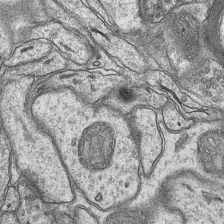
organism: Mouse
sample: CA1 Hippocampus